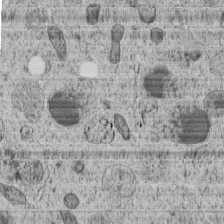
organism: C. elegans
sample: C. elegans embryo early stage